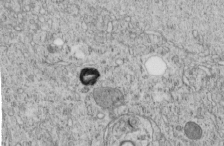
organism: C. elegans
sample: C. elegans embryo early stage